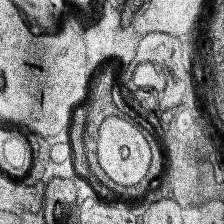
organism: Human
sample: Temporal Lobe